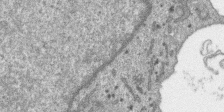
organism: Human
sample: Lung epithelial cells infected with SARS-CoV-2